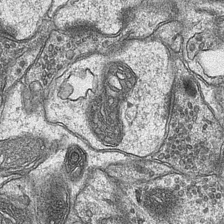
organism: Mouse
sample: CA1 Hippocampus